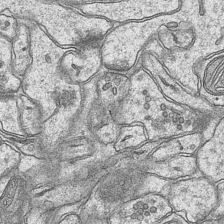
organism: Mouse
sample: CA1 Hippocampus